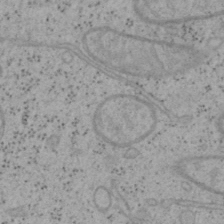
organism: Human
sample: HeLa cells